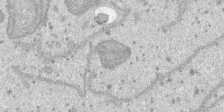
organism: Human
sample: Lung epithelial cells infected with SARS-CoV-2